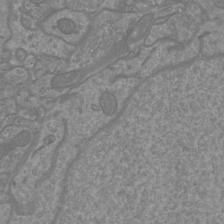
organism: Mouse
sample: Cortical neurons